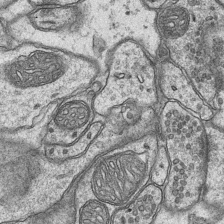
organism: Mouse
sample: CA1 Hippocampus